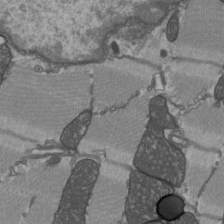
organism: C57BL Mouse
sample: Heart